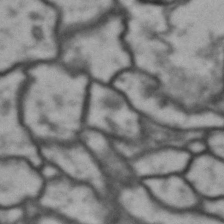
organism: Drosophila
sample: Brain